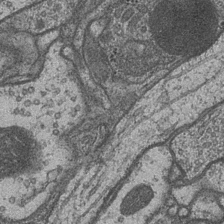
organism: Drosophila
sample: Optic medulla